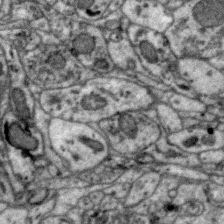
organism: Zebra finch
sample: Brain